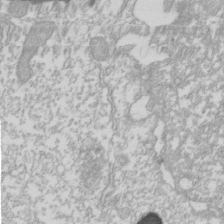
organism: Xenopus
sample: Cilia; centrioles in frog embryo cells